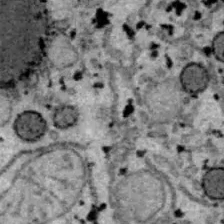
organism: Mouse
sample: Liver from an obese (ob/ob) mouse